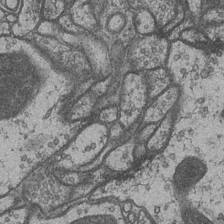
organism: Drosophila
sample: Optic medulla